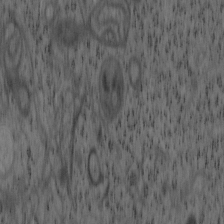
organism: Human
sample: HeLa cells